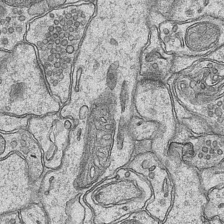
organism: Mouse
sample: CA1 Hippocampus